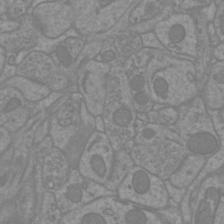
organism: Mouse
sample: Cortical neurons